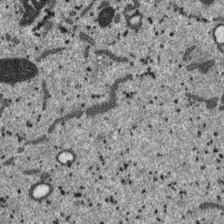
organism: Human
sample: Lung epithelial cells infected with SARS-CoV-2